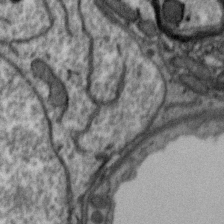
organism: Zebra finch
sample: Brain